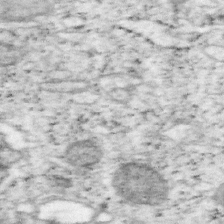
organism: Mouse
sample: OT-I killer T cells with ID8 ovarian cancer cells